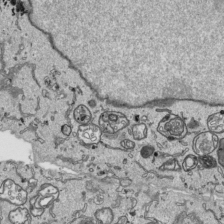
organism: Human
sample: Mitochondria in HCT116 cells